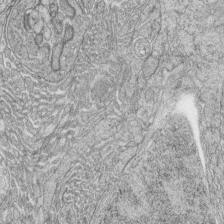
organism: Zebrafish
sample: synaptic ribbons in rod cells and cone cells